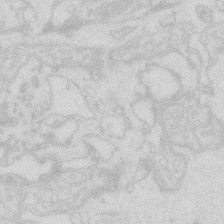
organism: Zebrafish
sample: Macrophage